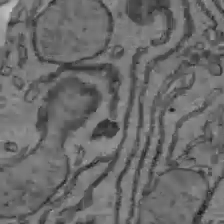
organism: C57BL Mouse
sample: Liver